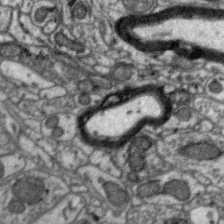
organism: Zebra finch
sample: Brain